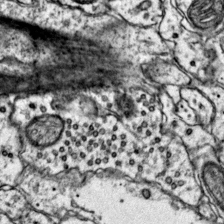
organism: Mouse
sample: Primary visual cortex